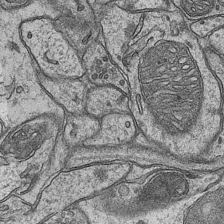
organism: Mouse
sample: CA1 Hippocampus